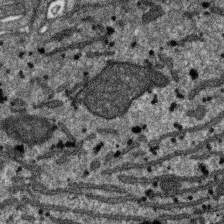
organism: Human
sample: Lung epithelial cells infected with SARS-CoV-2